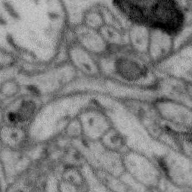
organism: Zebra finch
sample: Brain